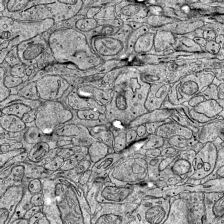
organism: Mouse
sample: Visual Cortex